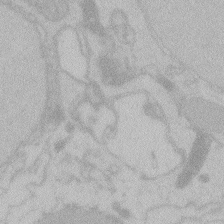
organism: Zebrafish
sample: Macrophage infected with Toxoplasma gondii